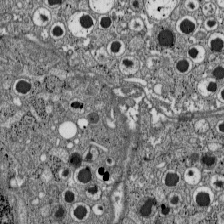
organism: C57BL Mouse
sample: Pancreatic islet